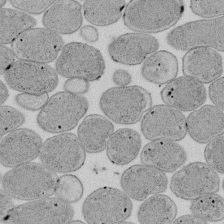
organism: E. coli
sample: Bacterial nucleoid